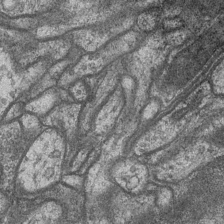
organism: Drosophila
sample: Optic medulla